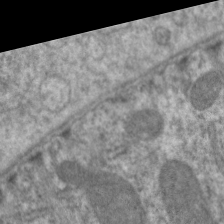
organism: C. elegans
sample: Pharynx